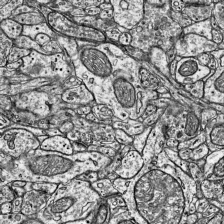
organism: Mouse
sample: Visual Cortex